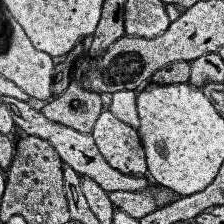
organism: Human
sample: Temporal Lobe